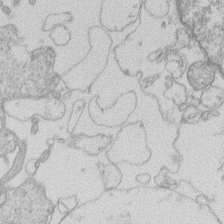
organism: Human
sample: Macrophage cells